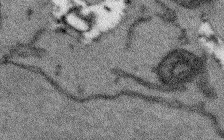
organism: Arabidopsis thaliana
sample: Root tip